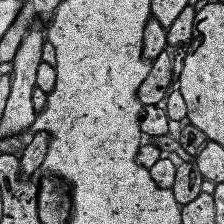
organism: Human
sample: Temporal Lobe